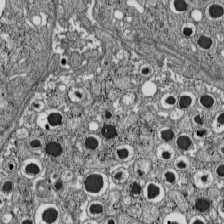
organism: C57BL Mouse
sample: Pancreatic islet